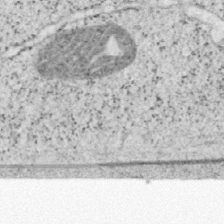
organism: Mouse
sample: OT-I killer T cells with ID8 ovarian cancer cells